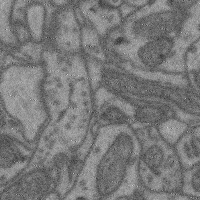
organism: Mouse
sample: Cerebral cortex